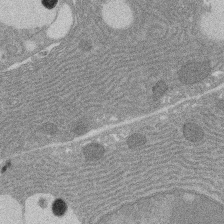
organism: Rat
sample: Salivary granule